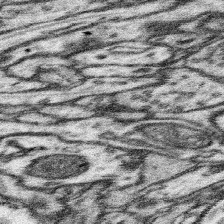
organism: Mouse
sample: Somatosensory cortex neuropil